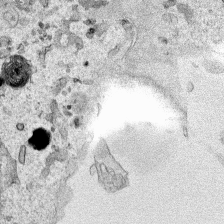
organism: Human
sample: Mitochondria in HCT116 cells